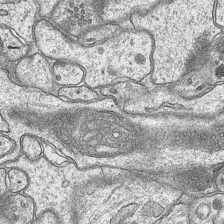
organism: Mouse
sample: CA1 Hippocampus